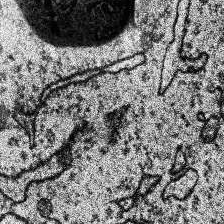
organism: Human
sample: Temporal Lobe